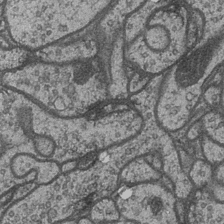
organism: Drosophila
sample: Optic medulla